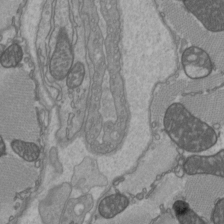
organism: C57BL Mouse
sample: Heart